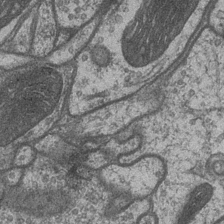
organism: Drosophila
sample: Optic medulla